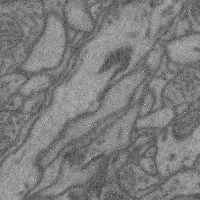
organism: Mouse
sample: Cerebral cortex